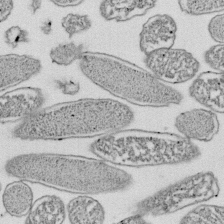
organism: E. coli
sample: Bacterial nucleoid